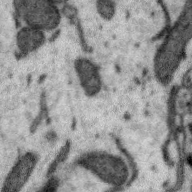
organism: Zebra finch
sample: Brain